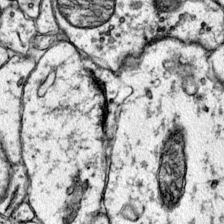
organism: Mouse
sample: Primary visual cortex